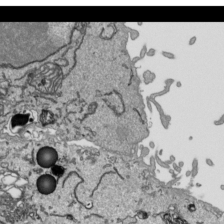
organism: Human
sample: Mitochondria in HCT116 cells